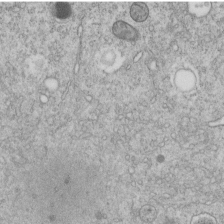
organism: C. elegans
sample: C. elegans embryo early stage